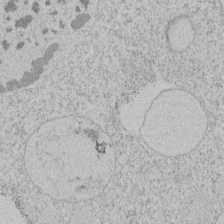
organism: Tetrahymena